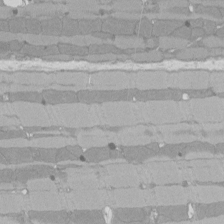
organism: Rat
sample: Left ventricle